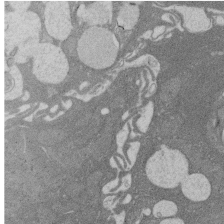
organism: Rat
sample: Salivary granule